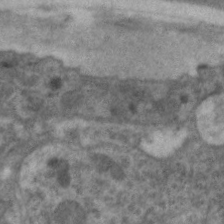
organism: C. elegans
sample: Pharynx